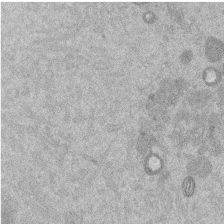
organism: Mouse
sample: Dividing mouse embryo 1 cell stage